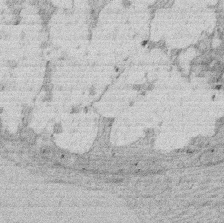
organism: Rat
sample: Salivary granule